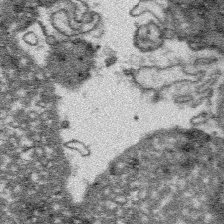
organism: Platynereis dumerilii